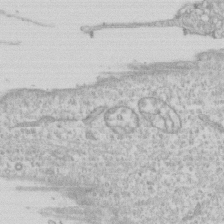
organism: Human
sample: CRL-1474